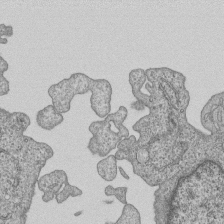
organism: Human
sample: MDA-MB-231 cells